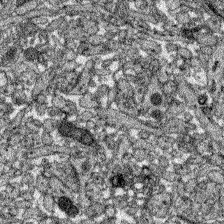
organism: Zebrafish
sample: Larval olfactory bulb